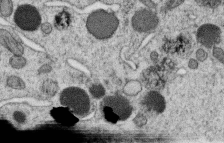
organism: C. elegans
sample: C. elegans oocyte; sperm cells